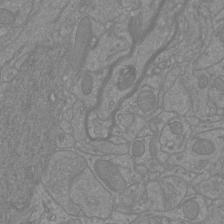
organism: Mouse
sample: Cortical neurons